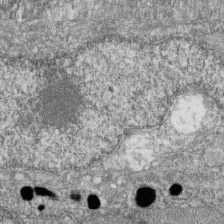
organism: Zebrafish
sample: Cilia; retinal pigment epithelium